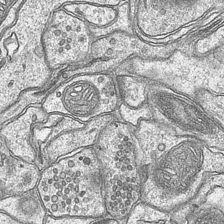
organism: Mouse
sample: CA1 Hippocampus